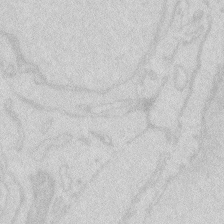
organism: Zebrafish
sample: Macrophage